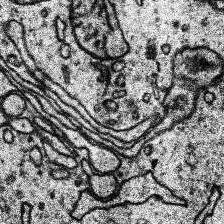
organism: Human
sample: Temporal Lobe